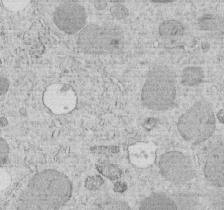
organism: C. elegans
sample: C. elegans embryo early stage